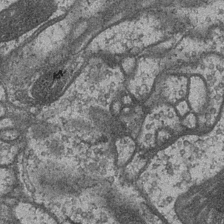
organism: Drosophila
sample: Optic medulla